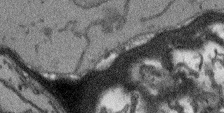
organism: Arabidopsis thaliana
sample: Root tip